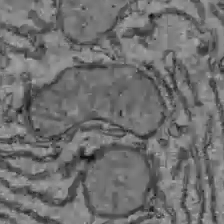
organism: C57BL Mouse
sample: Liver